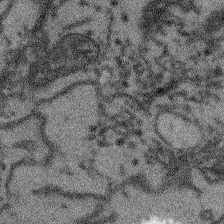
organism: Arabidopsis thaliana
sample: Root tip